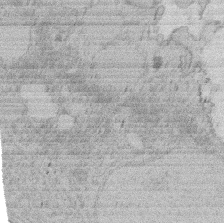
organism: Rat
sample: Salivary granule